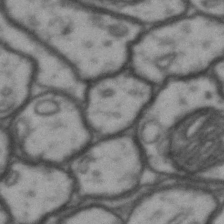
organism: Drosophila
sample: Brain